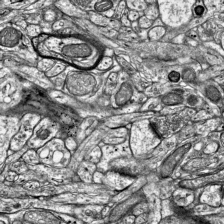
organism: Mouse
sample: Visual Cortex